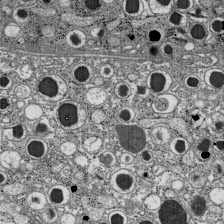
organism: C57BL Mouse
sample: Pancreatic islet